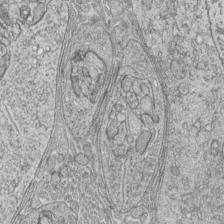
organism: Zebrafish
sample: synaptic ribbons in rod cells and cone cells